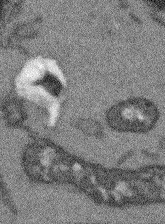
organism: Arabidopsis thaliana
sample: Root tip